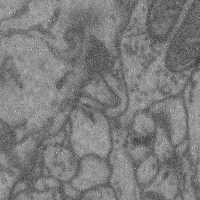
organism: Mouse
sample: Cerebral cortex